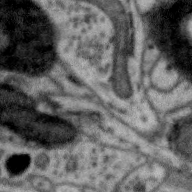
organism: Zebra finch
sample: Brain